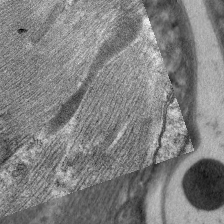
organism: C. elegans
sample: Pharynx